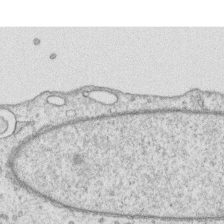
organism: Human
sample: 1205lu cells